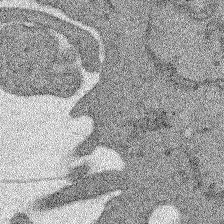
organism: Human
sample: HeLa cells